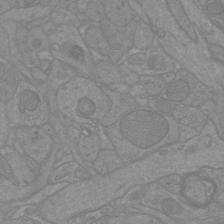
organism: Mouse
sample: Cortical neurons